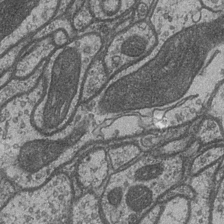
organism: Drosophila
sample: Optic medulla